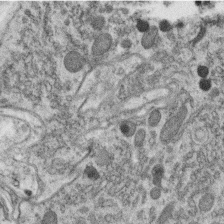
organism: C. elegans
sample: C. elegans oocyte; sperm cells